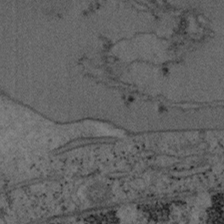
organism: Human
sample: HeLa cells